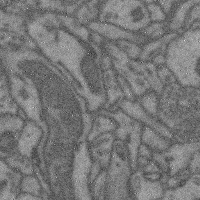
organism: Mouse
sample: Cerebral cortex